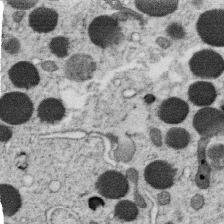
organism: C. elegans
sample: C. elegans oocyte; sperm cells